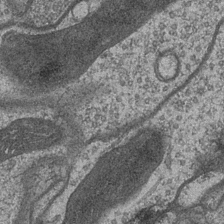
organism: Drosophila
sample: Optic medulla